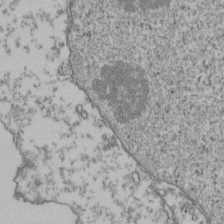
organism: Human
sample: Activated Jurkat CD4+ T cells